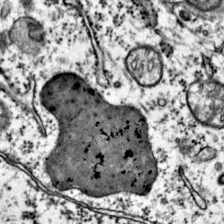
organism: Mouse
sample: Primary visual cortex